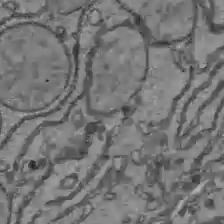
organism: C57BL Mouse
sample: Liver